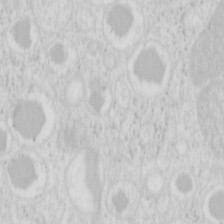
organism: Mouse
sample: Pancreas